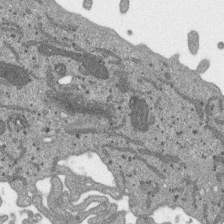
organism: Human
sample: Lung epithelial cells infected with SARS-CoV-2